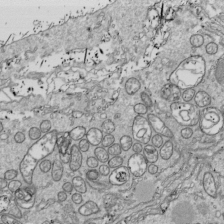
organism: Drosophila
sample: Cell division; meiosis; drosophila spermatocytes